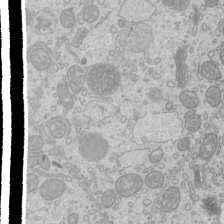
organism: Mouse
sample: Cilia; mouse epididymis